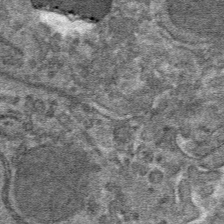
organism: Mouse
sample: Mouse hepatocytes